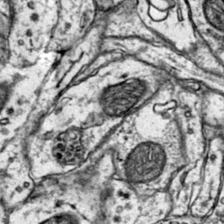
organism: Mouse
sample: Primary visual cortex